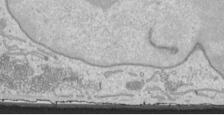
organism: Human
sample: Mitochondria in HCT116 cells